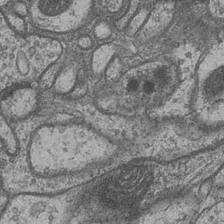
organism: Drosophila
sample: Optic medulla